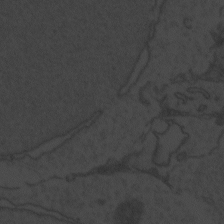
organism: Zebrafish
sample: Macrophage infected with Toxoplasma gondii